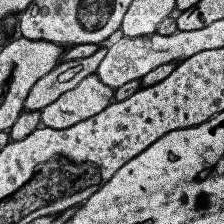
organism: Human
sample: Temporal Lobe